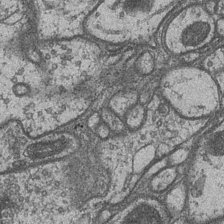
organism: Drosophila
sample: Optic medulla